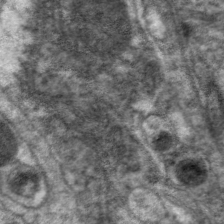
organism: C. elegans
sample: Pharynx